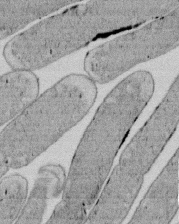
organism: E. coli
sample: Bacterial nucleoid